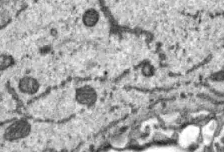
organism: Human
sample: HeLa cells